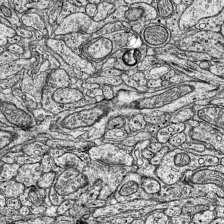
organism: Mouse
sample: Visual Cortex